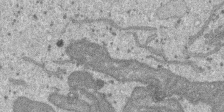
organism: Human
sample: Lung epithelial cells infected with SARS-CoV-2